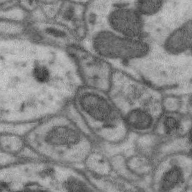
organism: Zebra finch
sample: Brain